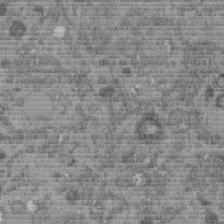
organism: C. elegans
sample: C. elegans embryo early stage